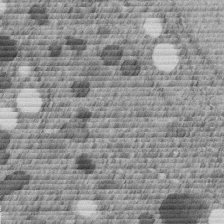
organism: C. elegans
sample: C. elegans embryo early stage